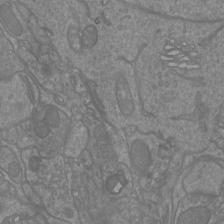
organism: Mouse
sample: Cortical neurons